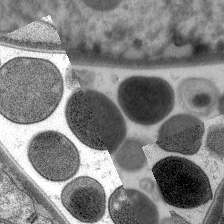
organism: C. elegans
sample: Pharynx